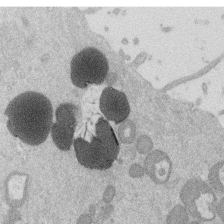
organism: Mouse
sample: Dividing mouse embryo 1 cell stage